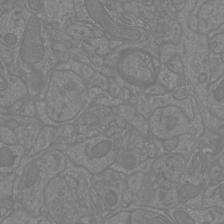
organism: Mouse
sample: Cortical neurons